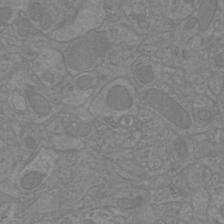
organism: Mouse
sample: Cortical neurons